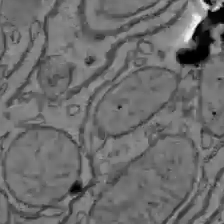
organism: C57BL Mouse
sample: Liver